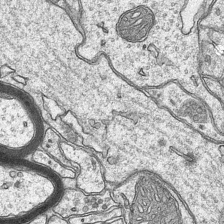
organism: Mouse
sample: CA1 Hippocampus